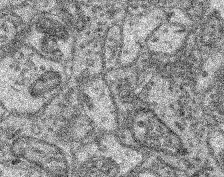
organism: Mouse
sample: Retina